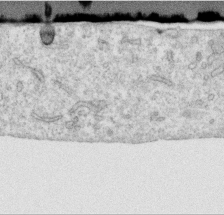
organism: Human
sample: Centriole in RPE cells